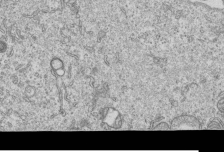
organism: Human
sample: MDA-MB-231 cells